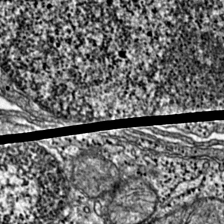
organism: Mouse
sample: Primary visual cortex